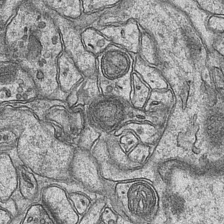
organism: Mouse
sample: CA1 Hippocampus